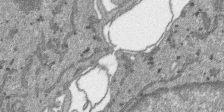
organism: Human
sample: Lung epithelial cells infected with SARS-CoV-2